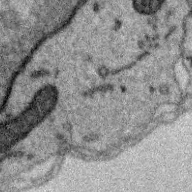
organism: Zebra finch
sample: Brain